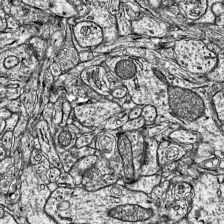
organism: Mouse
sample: Visual Cortex